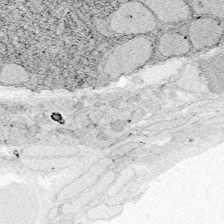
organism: Zebrafish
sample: Whole-Brain